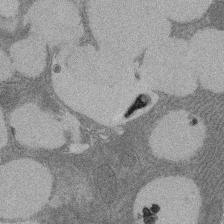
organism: Rat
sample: Salivary granule